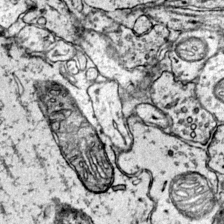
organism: Mouse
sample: Primary visual cortex